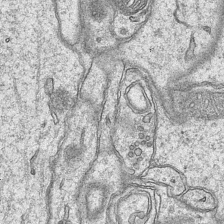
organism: Mouse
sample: CA1 Hippocampus